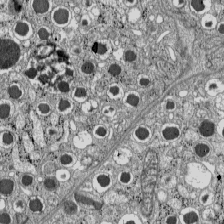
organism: C57BL Mouse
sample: Pancreatic islet